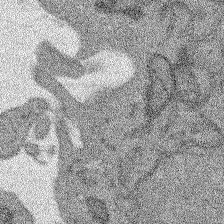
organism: Human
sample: HeLa cells